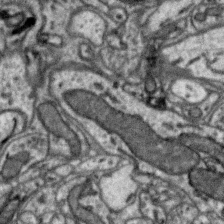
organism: Zebra finch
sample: Brain